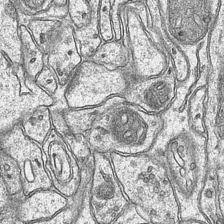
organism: Mouse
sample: CA1 Hippocampus